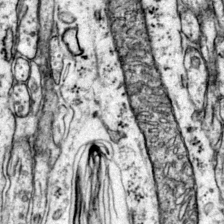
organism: Mouse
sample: Primary visual cortex